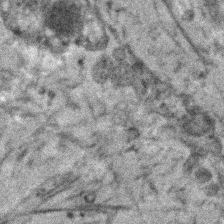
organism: Human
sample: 1205lu cells